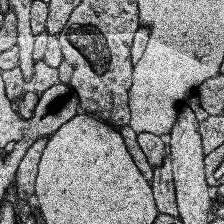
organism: Human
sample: Temporal Lobe